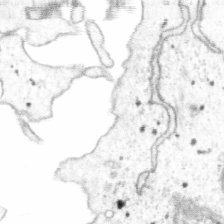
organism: Human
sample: HeLa cells